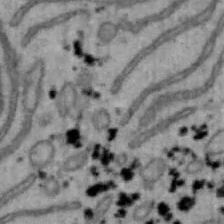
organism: Mouse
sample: Liver